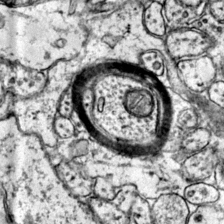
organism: Mouse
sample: Primary visual cortex